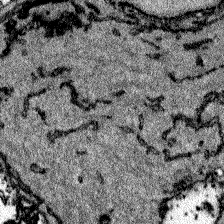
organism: Zebrafish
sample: Larval olfactory bulb